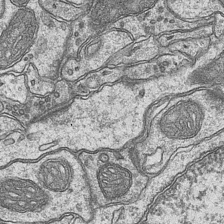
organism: Mouse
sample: CA1 Hippocampus